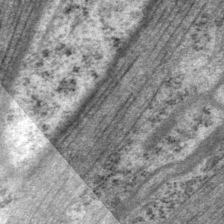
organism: P. pacificus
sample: Pharynx